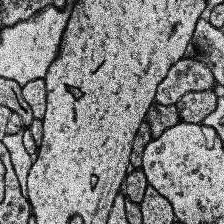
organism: Human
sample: Temporal Lobe